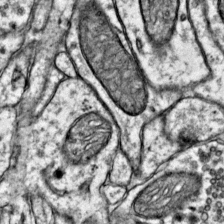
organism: Mouse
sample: Primary visual cortex